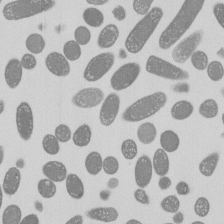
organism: E. coli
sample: Bacterial nucleoid